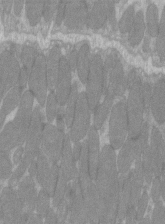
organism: C57BL Mouse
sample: Tibialis anterior muscle cell